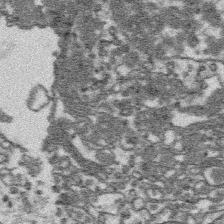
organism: Platynereis dumerilii